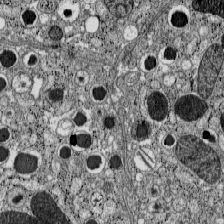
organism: C57BL Mouse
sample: Pancreatic islet